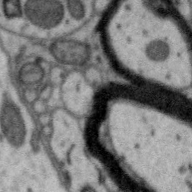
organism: Zebra finch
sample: Brain